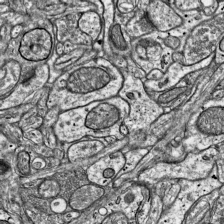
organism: Mouse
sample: Visual Cortex